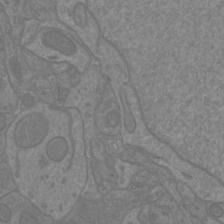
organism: Mouse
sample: Cortical neurons